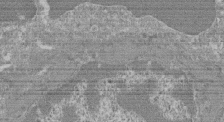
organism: Mouse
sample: Glomerulus